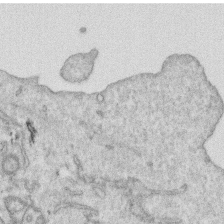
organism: Human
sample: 1205lu cells